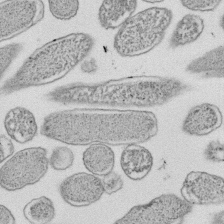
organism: E. coli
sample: Bacterial nucleoid